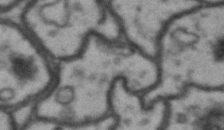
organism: Drosophila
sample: Brain